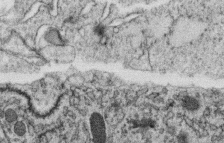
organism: C. elegans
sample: C. elegans oocyte; sperm cells